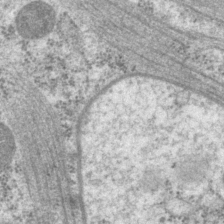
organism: P. pacificus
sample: Pharynx